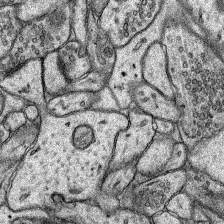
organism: Rat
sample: Hippocampus